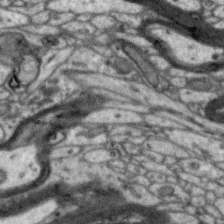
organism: Zebra finch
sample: Brain